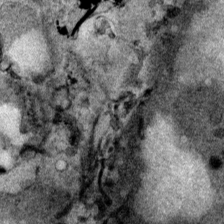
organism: Mouse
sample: Cancer cell death in ED-1 cells